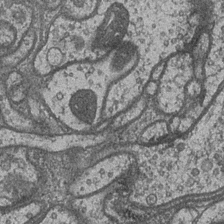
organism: Drosophila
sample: Optic medulla